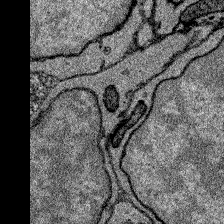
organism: Zebrafish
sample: Larval olfactory bulb